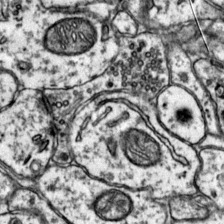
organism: Mouse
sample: Primary visual cortex